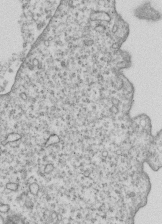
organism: Human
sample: MDA-MB-231 cells